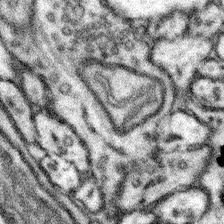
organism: Mouse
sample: Somatosensory cortex neuropil